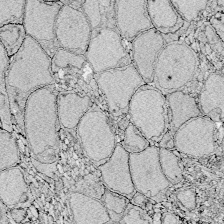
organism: Zebrafish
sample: Whole-Brain